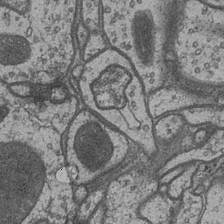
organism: Drosophila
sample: Optic medulla